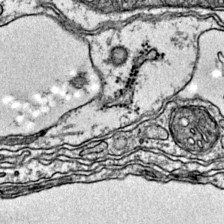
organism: Mouse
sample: Primary visual cortex